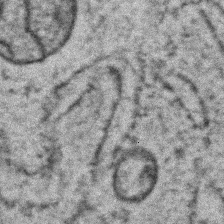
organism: Zebrafish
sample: Zebrafish embryo